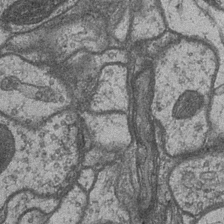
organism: Drosophila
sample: Optic medulla